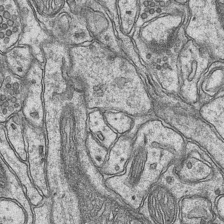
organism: Mouse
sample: CA1 Hippocampus